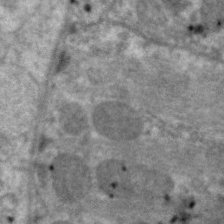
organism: C. elegans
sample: Pharynx